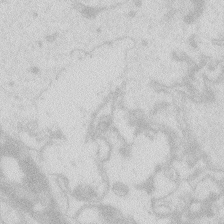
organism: Zebrafish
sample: Macrophage